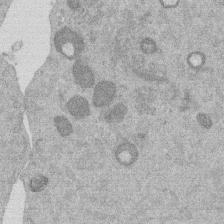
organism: Mouse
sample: Dividing mouse embryo 1 cell stage